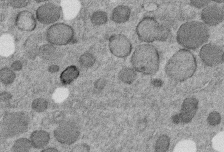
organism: C. elegans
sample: C. elegans embryo early stage